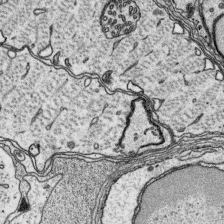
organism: Platynereis dumerilii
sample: Parapodia